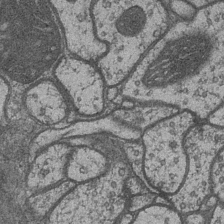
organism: Drosophila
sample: Optic medulla